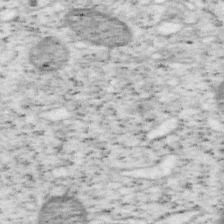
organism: Mouse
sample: OT-I killer T cells with ID8 ovarian cancer cells